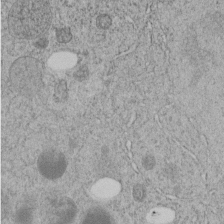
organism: C. elegans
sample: C. elegans embryo early stage